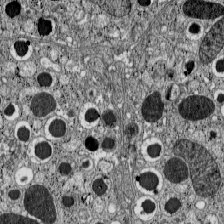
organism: C57BL Mouse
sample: Pancreatic islet